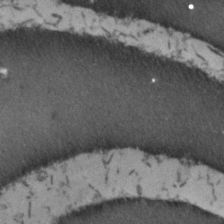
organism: Zebrafish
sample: Zebrafish embryo